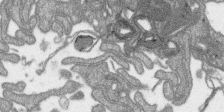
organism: Human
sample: Lung epithelial cells infected with SARS-CoV-2